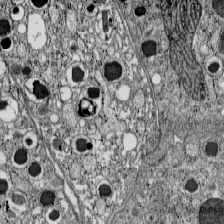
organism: C57BL Mouse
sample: Pancreatic islet